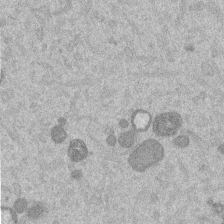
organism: Mouse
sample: Dividing mouse embryo 1 cell stage